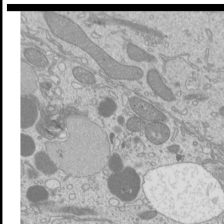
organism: Mouse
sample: Cilia; mouse epididymis